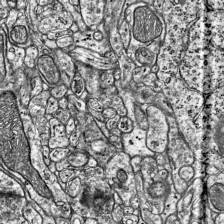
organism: Mouse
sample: Visual Cortex